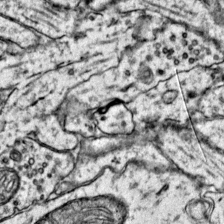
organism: Mouse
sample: Primary visual cortex